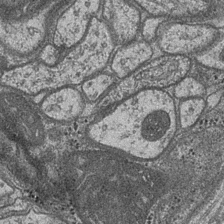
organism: Drosophila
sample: Optic medulla